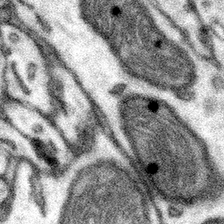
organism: Mouse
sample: Somatosensory cortex neuropil